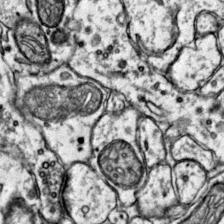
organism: Mouse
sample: Primary visual cortex